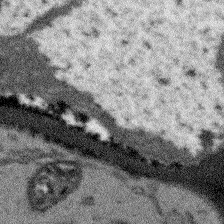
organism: Arabidopsis thaliana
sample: Root tip